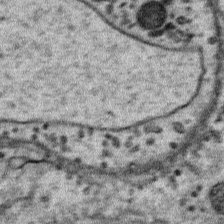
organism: Mouse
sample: Mouse Salivary gland